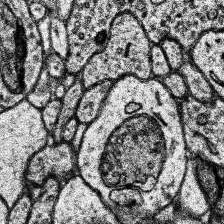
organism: Human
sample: Temporal Lobe